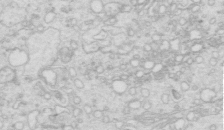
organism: Mouse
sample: Multiciliated cells